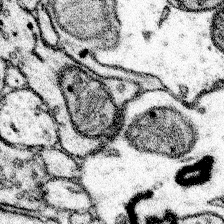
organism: Mouse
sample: Somatosensory cortex neuropil